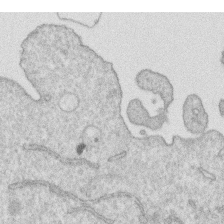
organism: Human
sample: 1205lu cells